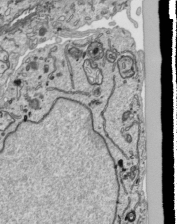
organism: Human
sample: Mitochondria in HCT116 cells